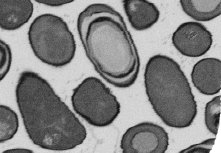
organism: B. subtilis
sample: Bacterial spore